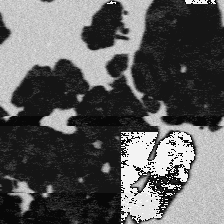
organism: Platynereis dumerilii